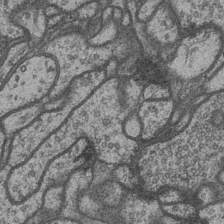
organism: Drosophila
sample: Optic medulla